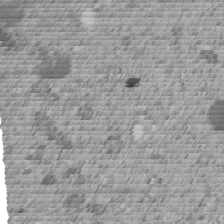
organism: C. elegans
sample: C. elegans embryo early stage